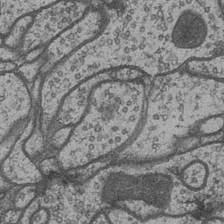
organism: Drosophila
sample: Optic medulla